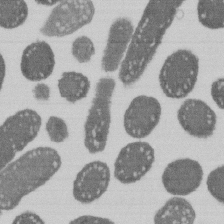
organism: E. coli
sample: Bacterial nucleoid